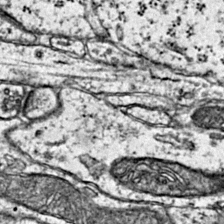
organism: Mouse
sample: Primary visual cortex